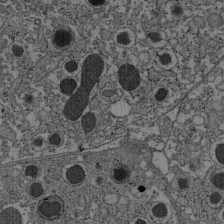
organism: C57BL Mouse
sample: Pancreatic islet